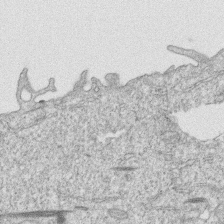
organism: Human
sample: HeLa cell HIV synapse